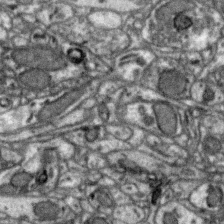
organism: Zebra finch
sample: Brain